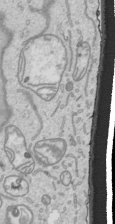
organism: Human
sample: Mitochondria in HCT116 cells